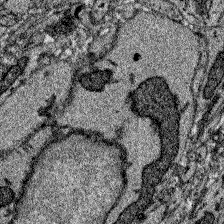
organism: Zebrafish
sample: Larval olfactory bulb